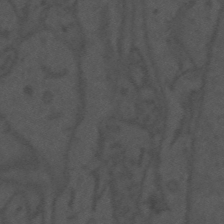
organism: Mouse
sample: Suprachiasmatic nucleus